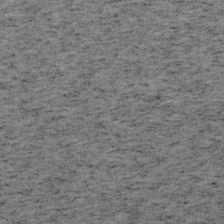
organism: Mouse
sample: OT-I killer T cells with ID8 ovarian cancer cells